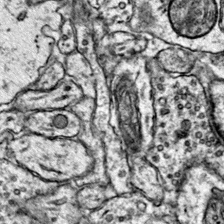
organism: Mouse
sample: Primary visual cortex